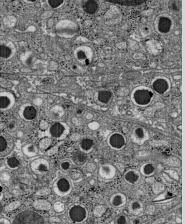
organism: C57BL Mouse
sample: Pancreatic islet